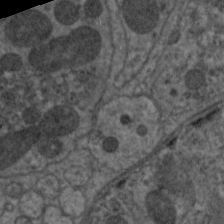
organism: C. elegans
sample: Pharynx